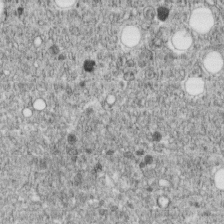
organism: C. elegans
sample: C. elegans embryo early stage